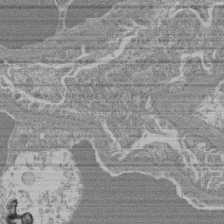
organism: Mouse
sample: Glomerulus